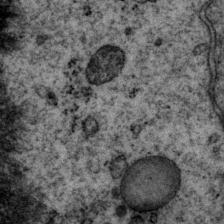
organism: P. pacificus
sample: Pharynx